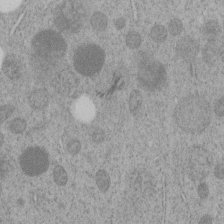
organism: C. elegans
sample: C. elegans embryo early stage